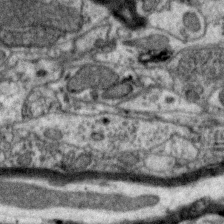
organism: Zebra finch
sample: Brain